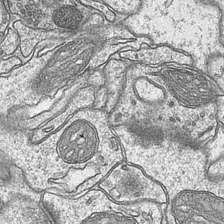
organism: Mouse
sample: CA1 Hippocampus